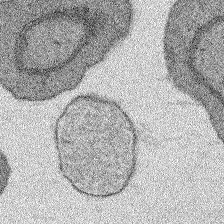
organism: Human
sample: HeLa cells